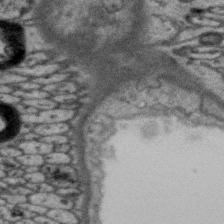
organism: Zebra finch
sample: Brain